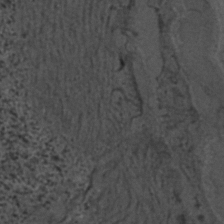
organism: C. elegans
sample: C. elegans embryo